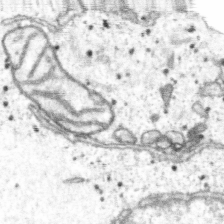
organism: Human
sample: HeLa cells